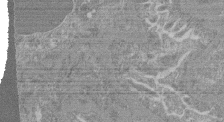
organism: Mouse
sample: Glomerulus